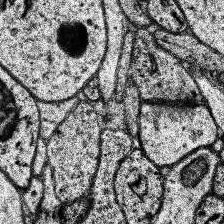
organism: Human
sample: Temporal Lobe